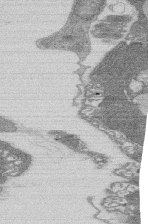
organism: Rat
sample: Salivary granule